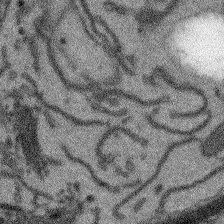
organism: Arabidopsis thaliana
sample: Root tip